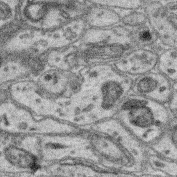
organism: Mouse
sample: Retina